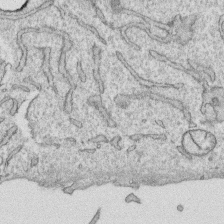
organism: Human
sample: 1205lu cells